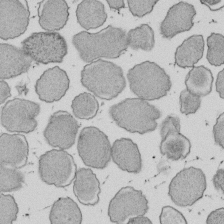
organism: E. coli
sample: Bacterial nucleoid